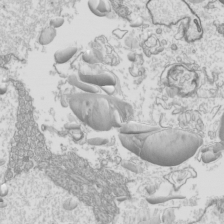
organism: Mouse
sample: Cilia; mouse epididymis